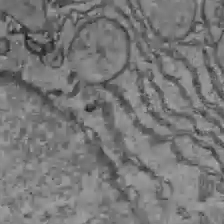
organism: C57BL Mouse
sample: Liver